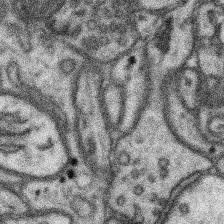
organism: Mouse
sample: Somatosensory cortex neuropil